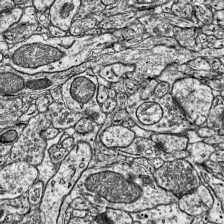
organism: Mouse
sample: Visual Cortex